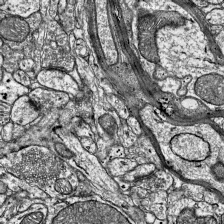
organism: Mouse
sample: Visual Cortex